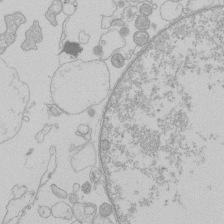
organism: Human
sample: Macrophage cells